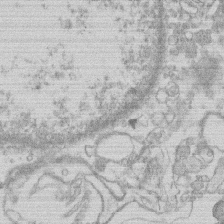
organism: Human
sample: Macrophage cells